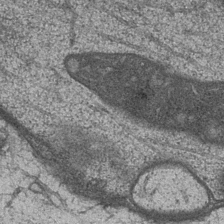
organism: Drosophila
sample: Optic medulla